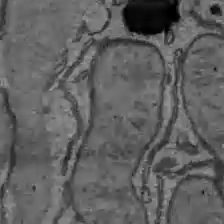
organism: C57BL Mouse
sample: Liver